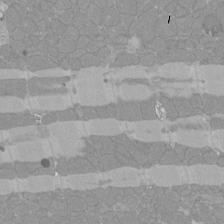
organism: Rat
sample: Left ventricle